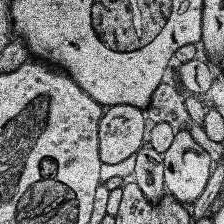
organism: Human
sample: Temporal Lobe